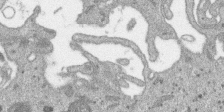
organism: Human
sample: Lung epithelial cells infected with SARS-CoV-2